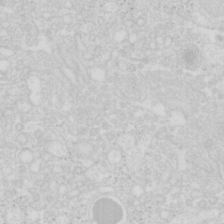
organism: Mouse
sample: Pancreas